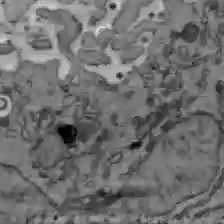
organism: C57BL Mouse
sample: Liver